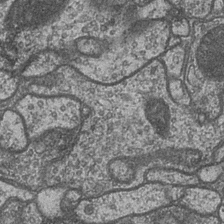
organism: Drosophila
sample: Optic medulla